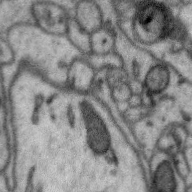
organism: Zebra finch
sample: Brain